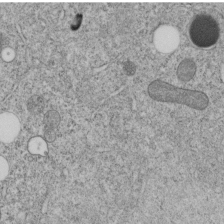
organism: C. elegans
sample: C. elegans embryo early stage